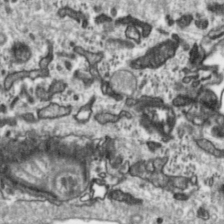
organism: Toxoplasma gondii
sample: Parasites in a vacuole inside a host cell